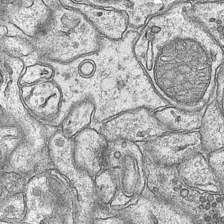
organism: Mouse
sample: CA1 Hippocampus